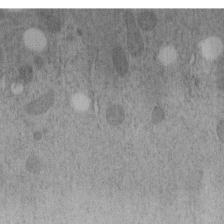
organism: C. elegans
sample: C. elegans embryo early stage